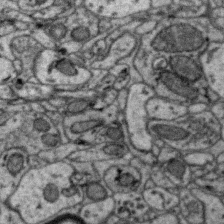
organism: Zebra finch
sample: Brain